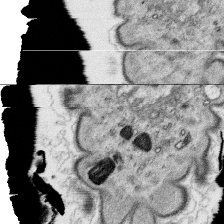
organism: Platynereis dumerilii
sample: Parapodia